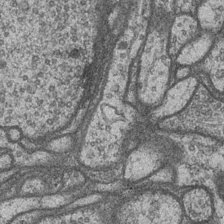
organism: Drosophila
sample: Optic medulla